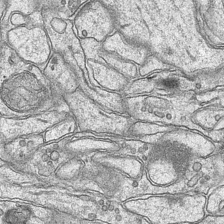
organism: Mouse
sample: CA1 Hippocampus